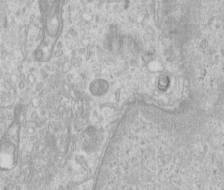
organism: Human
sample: Centriole in RPE cells